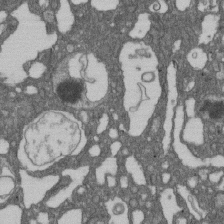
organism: Drosophila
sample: Nephrocyte